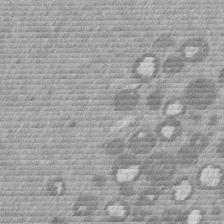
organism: Mouse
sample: Dividing mouse embryo 1 cell stage